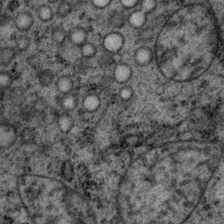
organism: P. pacificus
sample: Pharynx